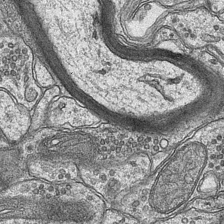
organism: Mouse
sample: CA1 Hippocampus